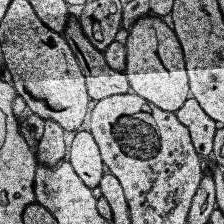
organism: Human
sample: Temporal Lobe